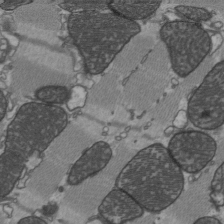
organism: C57BL Mouse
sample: Heart